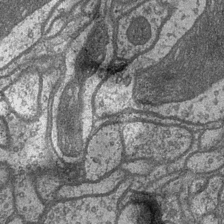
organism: Drosophila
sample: Optic medulla